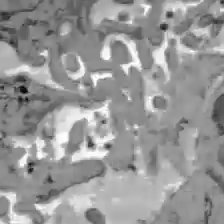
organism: C57BL Mouse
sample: Liver